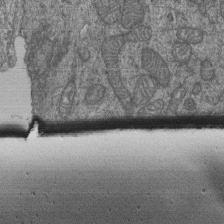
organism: Human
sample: Retinal organoid Rod and Cone cells